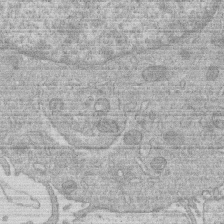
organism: Human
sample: Macrophage cells